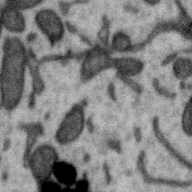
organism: Zebra finch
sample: Brain